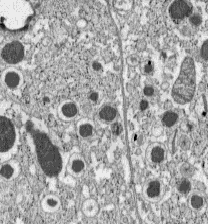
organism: C57BL Mouse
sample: Pancreatic islet